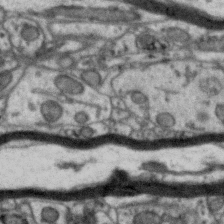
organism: Zebra finch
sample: Brain